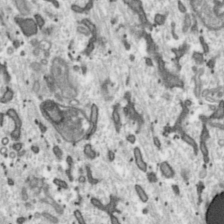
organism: Toxoplasma gondii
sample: Parasites in a vacuole inside a host cell